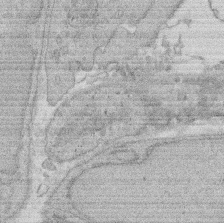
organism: Rat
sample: Salivary granule